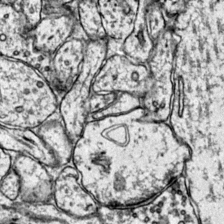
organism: Mouse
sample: Primary visual cortex